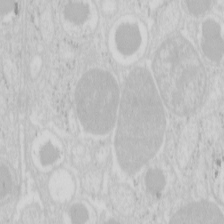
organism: Mouse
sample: Pancreas